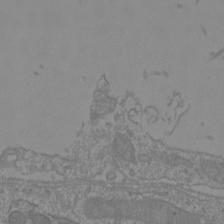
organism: Mouse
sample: Cortical neurons